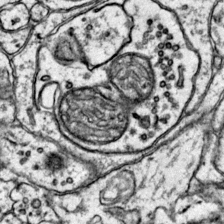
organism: Mouse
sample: Primary visual cortex